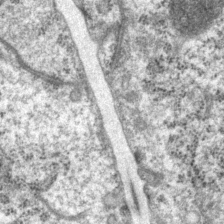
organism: P. pacificus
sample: Pharynx